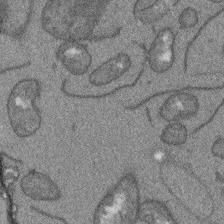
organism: Arabidopsis thaliana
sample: Root tip